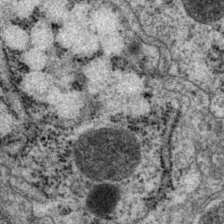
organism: P. pacificus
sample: Pharynx